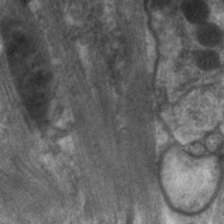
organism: C. elegans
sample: Pharynx